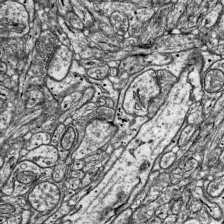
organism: Mouse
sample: Visual Cortex